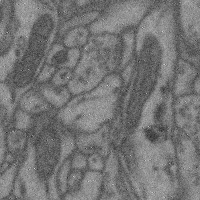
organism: Mouse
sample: Cerebral cortex